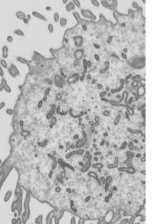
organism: Mouse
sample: Mouse epididymis efferent ductule cilia